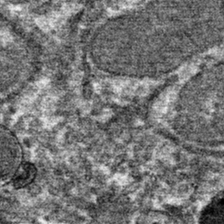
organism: Mouse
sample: Mouse hepatocytes